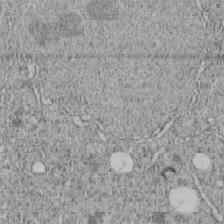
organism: C. elegans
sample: C. elegans embryo early stage